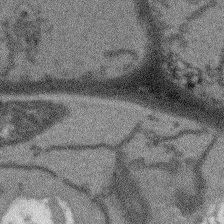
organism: Arabidopsis thaliana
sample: Root tip